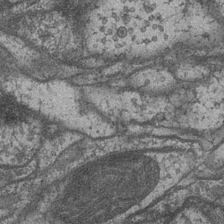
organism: Drosophila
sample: Optic medulla